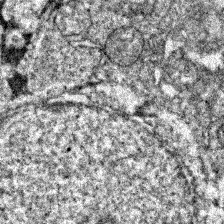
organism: Zebrafish